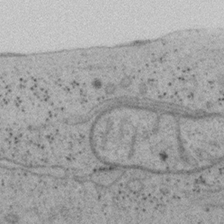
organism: Human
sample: HeLa cells